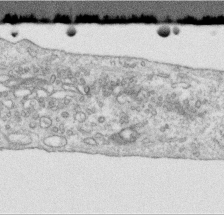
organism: Human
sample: Centriole in RPE cells